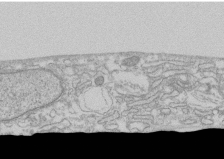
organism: Human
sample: CRL-1474